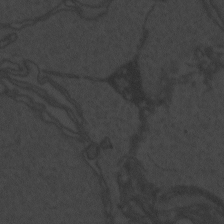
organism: Zebrafish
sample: Macrophage infected with Toxoplasma gondii